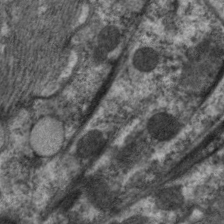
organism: C. elegans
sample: Pharynx